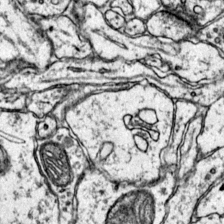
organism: Mouse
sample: Primary visual cortex